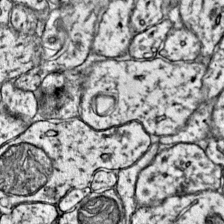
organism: Mouse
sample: Primary visual cortex